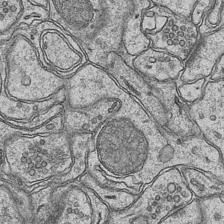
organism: Mouse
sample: CA1 Hippocampus